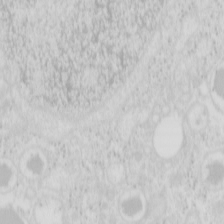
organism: Mouse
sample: Pancreas